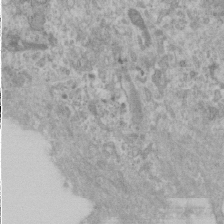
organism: Human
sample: Cilia; basal body in RPE cells